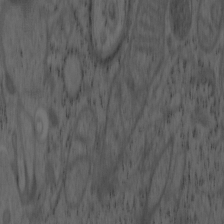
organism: Human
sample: HeLa cells